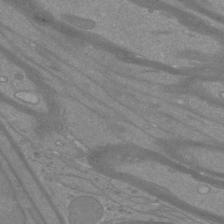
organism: Mouse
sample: Cortical neurons